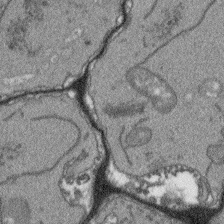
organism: Arabidopsis thaliana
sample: Root tip